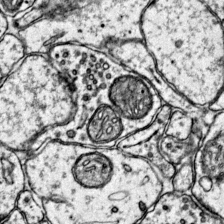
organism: Mouse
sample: Primary visual cortex